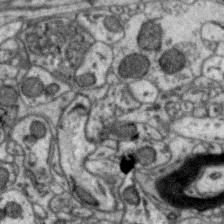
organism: Zebra finch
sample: Brain